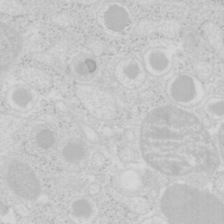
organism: Mouse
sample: Pancreas